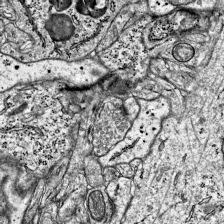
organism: Mouse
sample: Visual Cortex